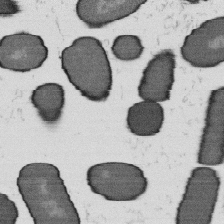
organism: B. subtilis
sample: Bacterial spore